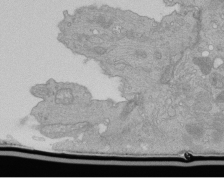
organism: Human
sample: Retinal organoid Rod and Cone cells